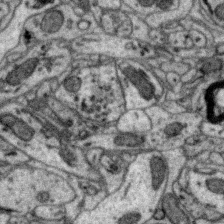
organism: Zebra finch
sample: Brain